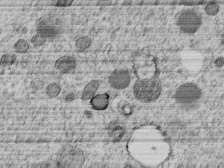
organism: C. elegans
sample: C. elegans embryo early stage